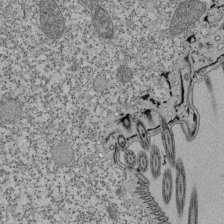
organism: Tetrahymena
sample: Cilia in tetrahymena